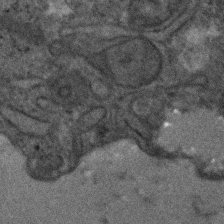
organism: Human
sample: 1205lu cells